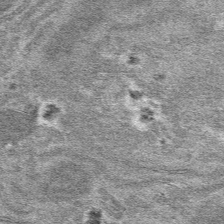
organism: Mouse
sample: Mouse hepatocytes